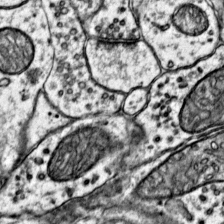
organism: Mouse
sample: Primary visual cortex